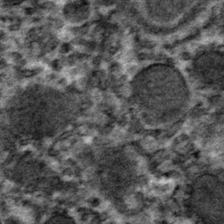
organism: Mouse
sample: Mouse hepatocytes